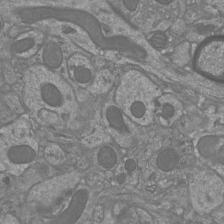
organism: Mouse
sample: Cortical neurons